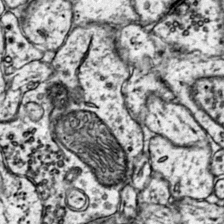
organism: Mouse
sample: Primary visual cortex